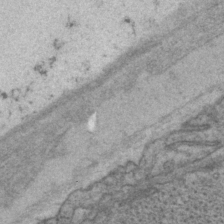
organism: P. pacificus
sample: Pharynx